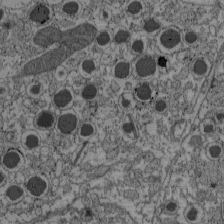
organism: C57BL Mouse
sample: Pancreatic islet